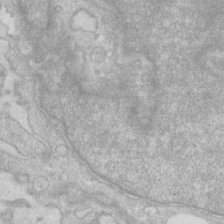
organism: Human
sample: Fibroblast cells